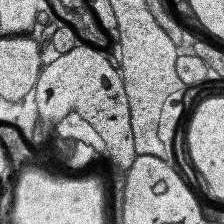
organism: Human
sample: Temporal Lobe